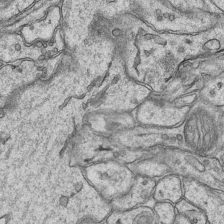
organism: Mouse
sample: CA1 Hippocampus